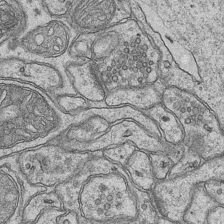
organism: Mouse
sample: CA1 Hippocampus